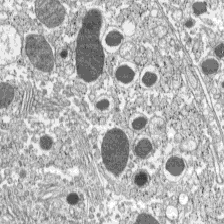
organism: C57BL Mouse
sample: Pancreatic islet